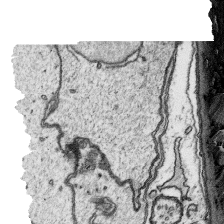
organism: Platynereis dumerilii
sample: Parapodia